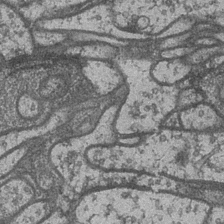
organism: Drosophila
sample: Optic medulla